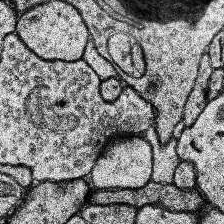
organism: Human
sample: Temporal Lobe